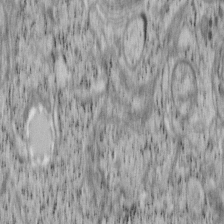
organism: Human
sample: HeLa cells